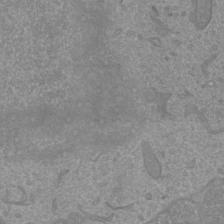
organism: Mouse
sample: Cortical neurons